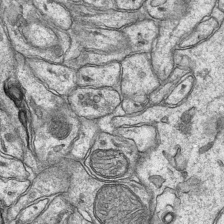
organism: Mouse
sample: CA1 Hippocampus